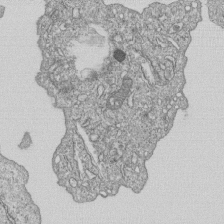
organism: Human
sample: MDA-MB-231 cells